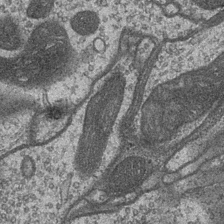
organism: Drosophila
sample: Optic medulla